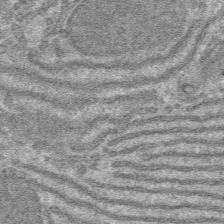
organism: Mouse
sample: Mouse hepatocytes